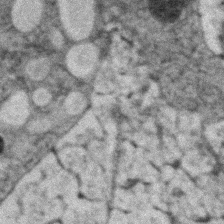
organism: Zebrafish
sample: Zebrafish embryo